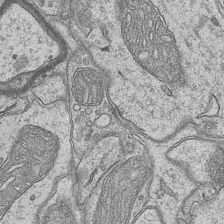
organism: Mouse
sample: CA1 Hippocampus